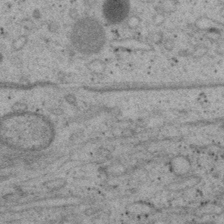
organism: Human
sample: HeLa cells